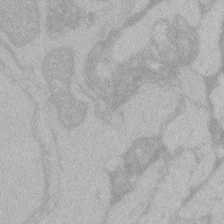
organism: Zebrafish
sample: Macrophage infected with Toxoplasma gondii